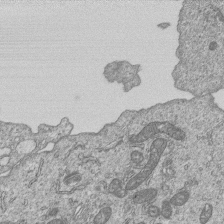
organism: Human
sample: MDA-MB-231 cells